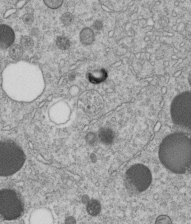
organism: C. elegans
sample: C. elegans embryo early stage